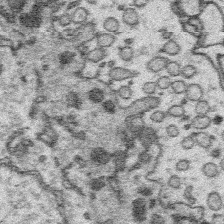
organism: Platynereis dumerilii